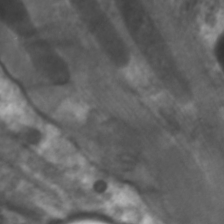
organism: C. elegans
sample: Pharynx